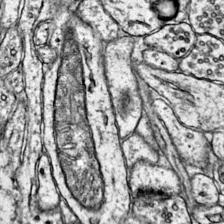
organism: Mouse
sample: Primary visual cortex